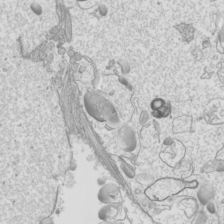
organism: Mouse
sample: Cilia; mouse epididymis